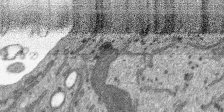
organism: Human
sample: Lung epithelial cells infected with SARS-CoV-2